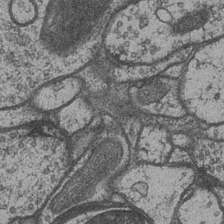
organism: Drosophila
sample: Optic medulla